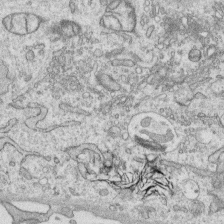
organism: Human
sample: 1205lu cells